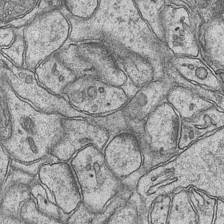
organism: Mouse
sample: CA1 Hippocampus